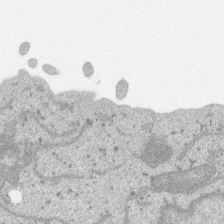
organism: Human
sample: Lung epithelial cells infected with SARS-CoV-2